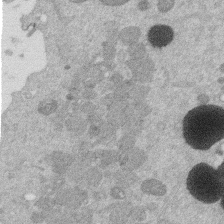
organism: Mouse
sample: Dividing mouse embryo 1 cell stage